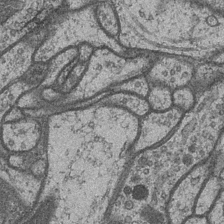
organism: Drosophila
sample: Optic medulla